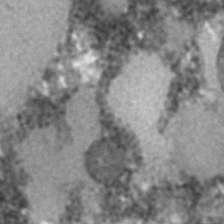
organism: C. elegans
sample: C. elegans embryo